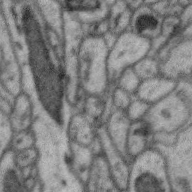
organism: Zebra finch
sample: Brain